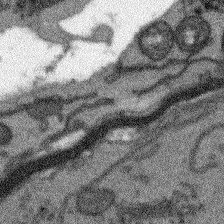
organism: Arabidopsis thaliana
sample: Root tip